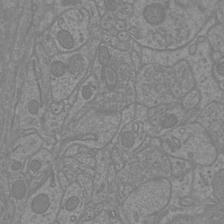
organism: Mouse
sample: Cortical neurons